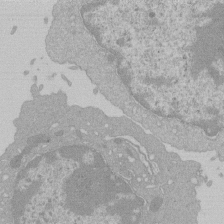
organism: Mouse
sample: Activated Pmel transgenic CD8+ T Cells